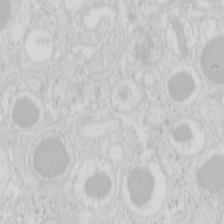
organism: Mouse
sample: Pancreas